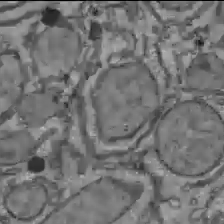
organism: C57BL Mouse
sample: Liver